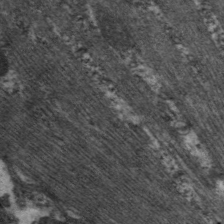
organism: C. elegans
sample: Pharynx